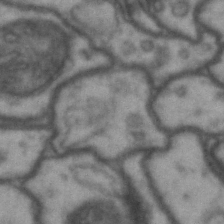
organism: Drosophila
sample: Brain